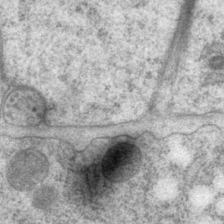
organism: P. pacificus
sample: Pharynx